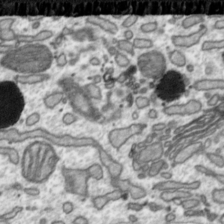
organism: Toxoplasma gondii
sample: Parasites in a vacuole inside a host cell